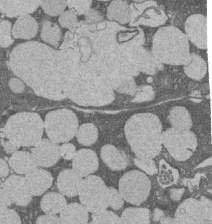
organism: Rat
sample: Salivary granule